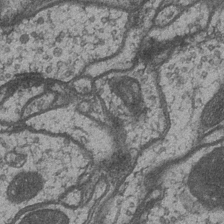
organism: Drosophila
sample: Optic medulla